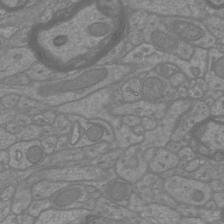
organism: Mouse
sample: Cortical neurons